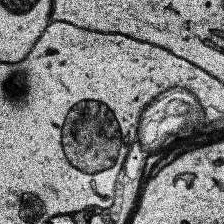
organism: Human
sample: Temporal Lobe